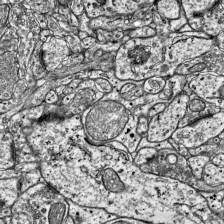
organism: Mouse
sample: Visual Cortex